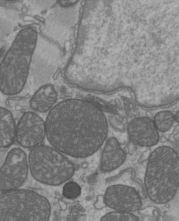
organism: C57BL Mouse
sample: Heart